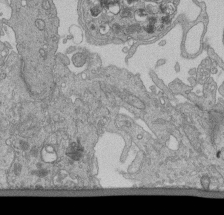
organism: Human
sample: Retinal organoid Rod and Cone cells